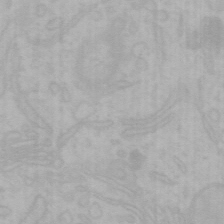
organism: Mouse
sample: Choroid plexus